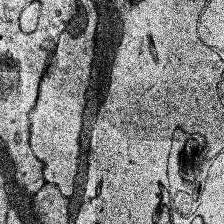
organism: Human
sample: Temporal Lobe